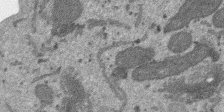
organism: Human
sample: Lung epithelial cells infected with SARS-CoV-2